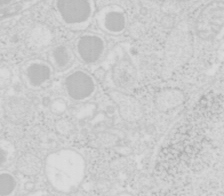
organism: Mouse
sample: Pancreas